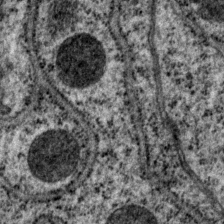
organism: P. pacificus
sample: Pharynx